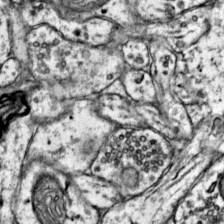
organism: Mouse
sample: Primary visual cortex